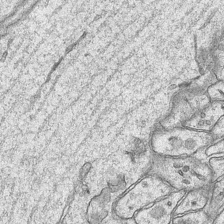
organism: Mouse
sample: CA1 Hippocampus